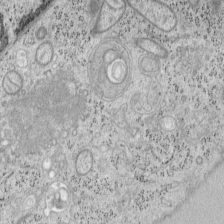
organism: Mouse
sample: OT-I killer T cells with ID8 ovarian cancer cells